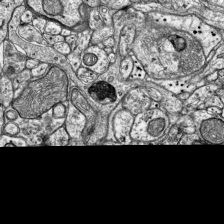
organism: Mouse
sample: Visual Cortex